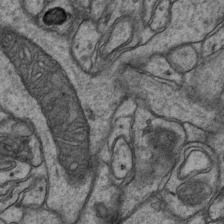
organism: Mouse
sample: CA1 Hippocampus